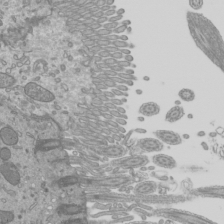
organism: Mouse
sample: Cilia; mouse epididymis